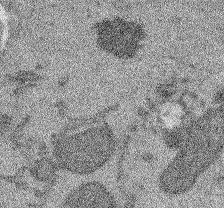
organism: Human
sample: HeLa cells